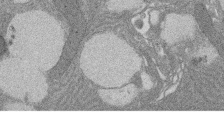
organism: Rat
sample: Salivary granule